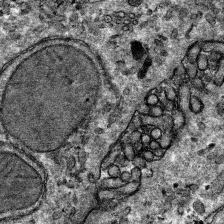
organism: Mouse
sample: Mouse hepatocytes